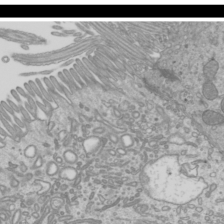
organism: Mouse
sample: Cilia; mouse epididymis